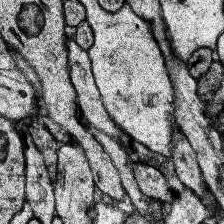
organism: Human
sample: Temporal Lobe